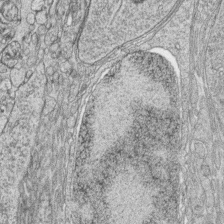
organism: Zebrafish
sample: synaptic ribbons in rod cells and cone cells